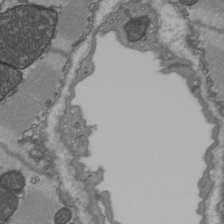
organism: C57BL Mouse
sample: Heart